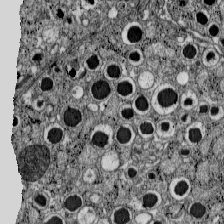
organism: C57BL Mouse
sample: Pancreatic islet